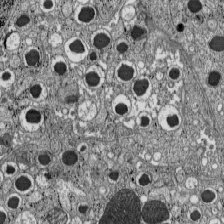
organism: C57BL Mouse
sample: Pancreatic islet